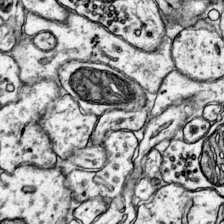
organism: Mouse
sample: Primary visual cortex